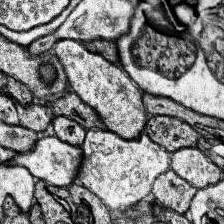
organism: Human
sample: Temporal Lobe